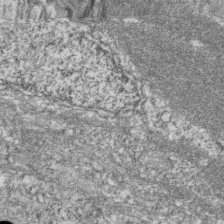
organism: Zebrafish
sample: Cilia; retinal pigment epithelium